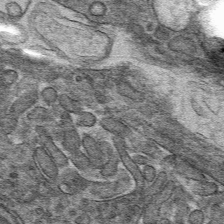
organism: Mouse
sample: Mouse hepatocytes